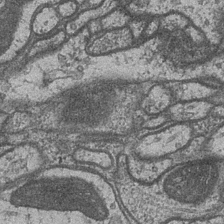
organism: Drosophila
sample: Optic medulla